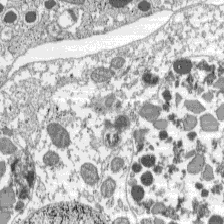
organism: C57BL Mouse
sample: Pancreatic islet